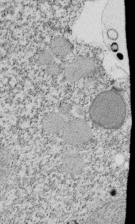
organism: Tetrahymena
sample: Cilia in tetrahymena